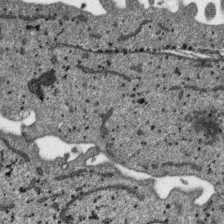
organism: Human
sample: Lung epithelial cells infected with SARS-CoV-2